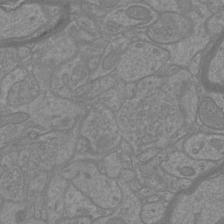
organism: Mouse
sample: Cortical neurons